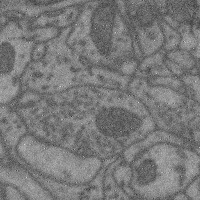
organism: Mouse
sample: Cerebral cortex